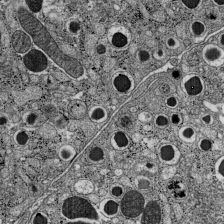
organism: C57BL Mouse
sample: Pancreatic islet